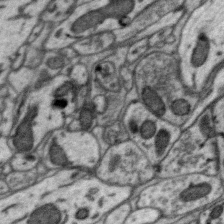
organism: Zebra finch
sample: Brain